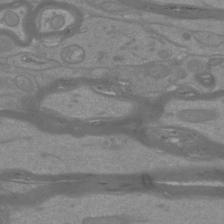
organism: Mouse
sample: Cortical neurons